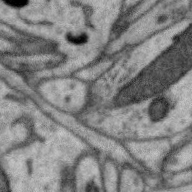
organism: Zebra finch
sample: Brain